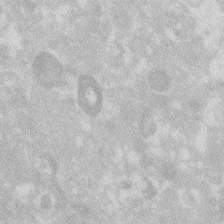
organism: Zebrafish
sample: Macrophage